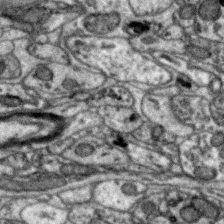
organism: Zebra finch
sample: Brain